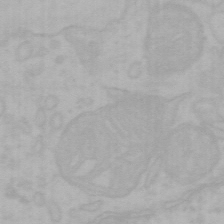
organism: Mouse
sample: Choroid plexus